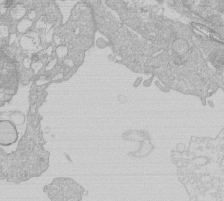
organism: Human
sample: Macrophage cells